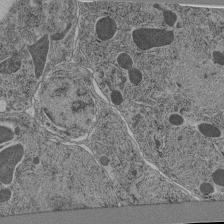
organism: C. elegans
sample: C. elegans pharynx